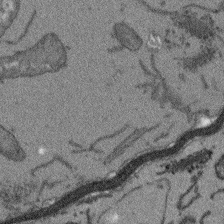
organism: Arabidopsis thaliana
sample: Root tip